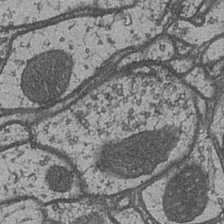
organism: Drosophila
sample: Optic medulla